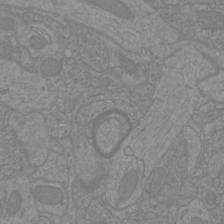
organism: Mouse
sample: Cortical neurons